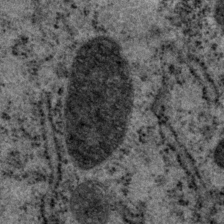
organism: P. pacificus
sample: Pharynx